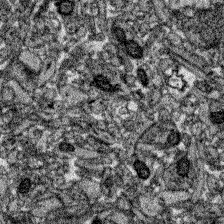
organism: Zebrafish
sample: Larval olfactory bulb